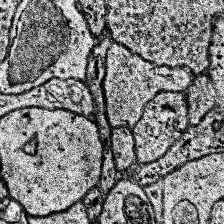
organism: Human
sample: Temporal Lobe